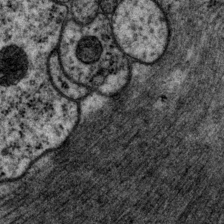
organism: P. pacificus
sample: Pharynx